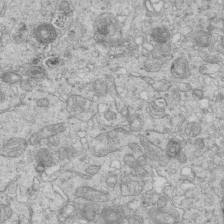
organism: Mouse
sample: Multiciliated cells